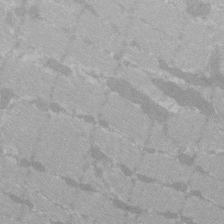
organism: C57BL Mouse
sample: Tibialis anterior muscle cell